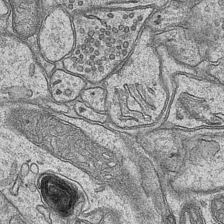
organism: Mouse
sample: CA1 Hippocampus